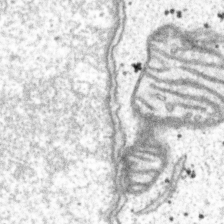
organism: Human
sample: HeLa cells